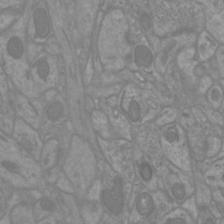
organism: Mouse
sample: Cortical neurons